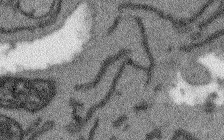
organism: Arabidopsis thaliana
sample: Root tip